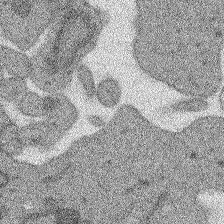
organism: Human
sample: HeLa cells